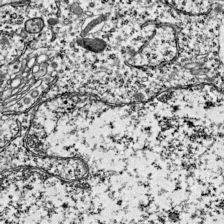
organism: Mouse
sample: Visual Cortex